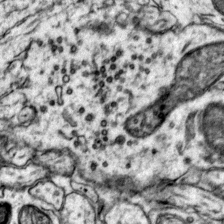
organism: Mouse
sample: Primary visual cortex